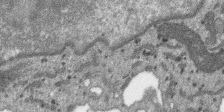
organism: Human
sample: Lung epithelial cells infected with SARS-CoV-2